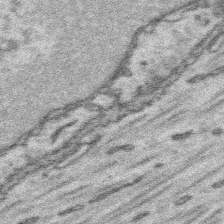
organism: Platynereis dumerilii